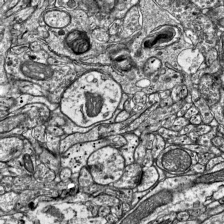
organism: Mouse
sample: Visual Cortex